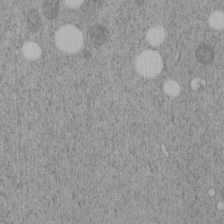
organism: C. elegans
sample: C. elegans embryo early stage